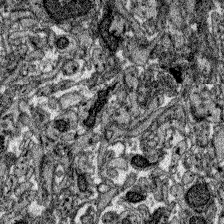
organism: Zebrafish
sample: Larval olfactory bulb